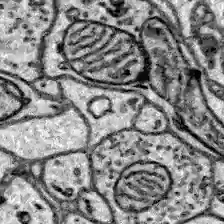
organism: Zebrafish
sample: Brain